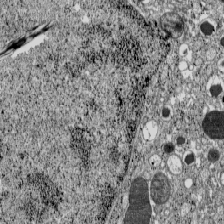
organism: C57BL Mouse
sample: Pancreatic islet